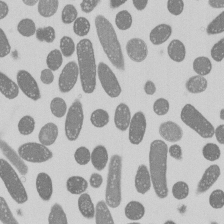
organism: E. coli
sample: Bacterial nucleoid